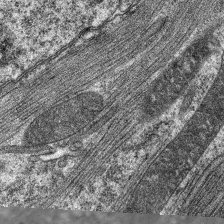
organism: C. elegans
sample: Pharynx